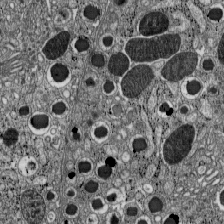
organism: C57BL Mouse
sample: Pancreatic islet